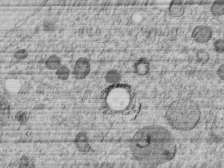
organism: C. elegans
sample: C. elegans embryo early stage